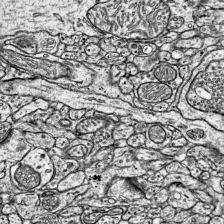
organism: Mouse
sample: Visual Cortex